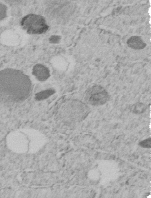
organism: C. elegans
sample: C. elegans embryo early stage